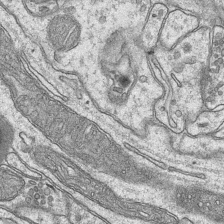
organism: Mouse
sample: CA1 Hippocampus